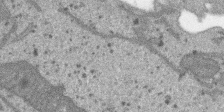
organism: Human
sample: Lung epithelial cells infected with SARS-CoV-2